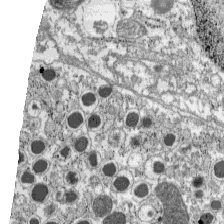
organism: C57BL Mouse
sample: Pancreatic islet